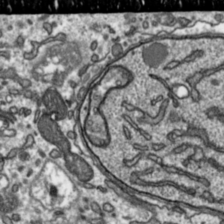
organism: Toxoplasma gondii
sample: Parasites in a vacuole inside a host cell